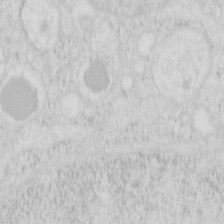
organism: Mouse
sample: Pancreas